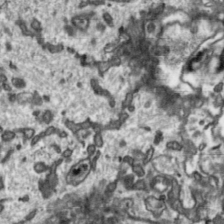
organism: Toxoplasma gondii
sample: Parasites in a vacuole inside a host cell